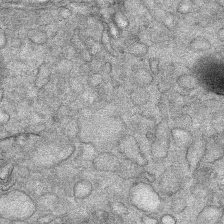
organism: Mouse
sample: Mouse Salivary gland